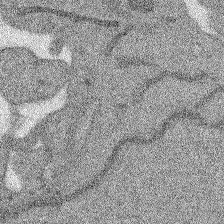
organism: Human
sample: HeLa cells